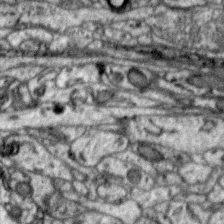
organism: Zebra finch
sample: Brain